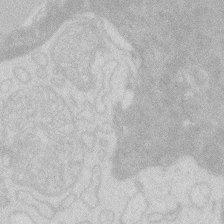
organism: Zebrafish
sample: Macrophage